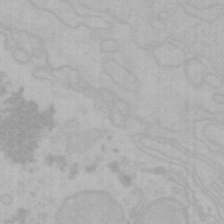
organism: Mouse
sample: Choroid plexus